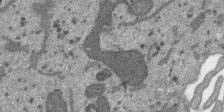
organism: Human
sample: Lung epithelial cells infected with SARS-CoV-2